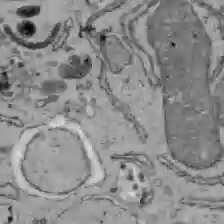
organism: C57BL Mouse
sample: Liver